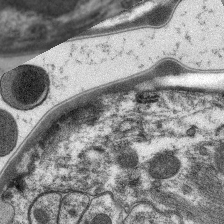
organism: C. elegans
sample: Pharynx